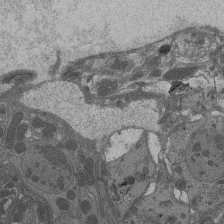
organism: Drosophila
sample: Antenna